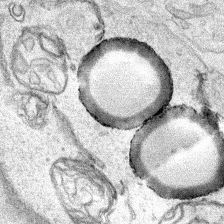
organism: Human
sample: Mitochondria in HCT116 cells